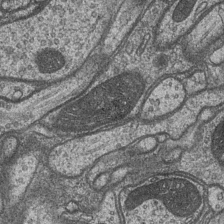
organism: Drosophila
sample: Optic medulla